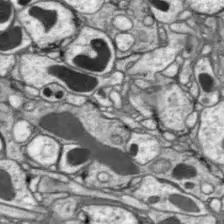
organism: Drosophila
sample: Optic lobe